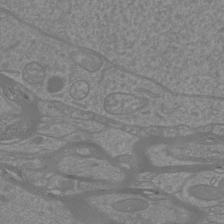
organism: Mouse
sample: Cortical neurons